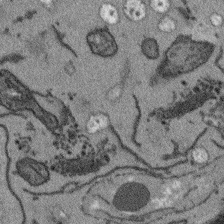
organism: Arabidopsis thaliana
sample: Root tip